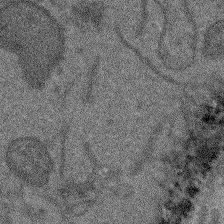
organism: Arabidopsis thaliana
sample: Root tip